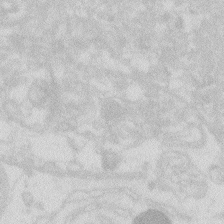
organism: Zebrafish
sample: Macrophage